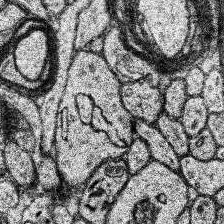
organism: Human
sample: Temporal Lobe